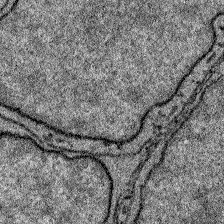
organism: Zebrafish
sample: Larval olfactory bulb